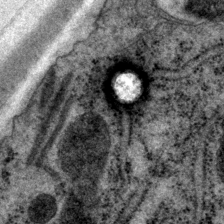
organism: P. pacificus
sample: Pharynx